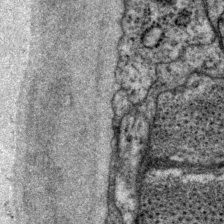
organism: P. pacificus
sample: Pharynx